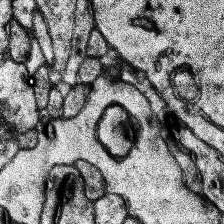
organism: Human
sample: Temporal Lobe